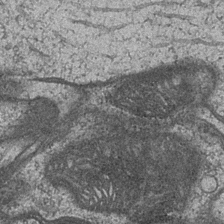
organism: Drosophila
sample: Optic medulla